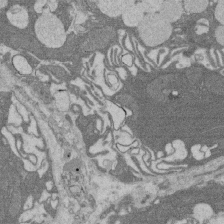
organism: Rat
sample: Salivary granule